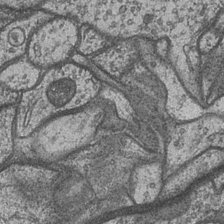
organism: Drosophila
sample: Optic medulla